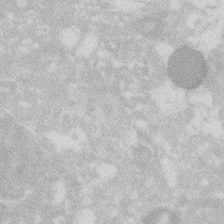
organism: Zebrafish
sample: Macrophage